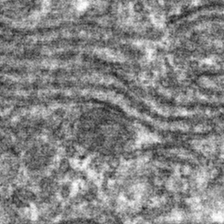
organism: Mouse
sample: Mouse hepatocytes